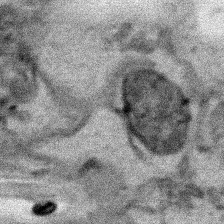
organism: Human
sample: Mitochondria in HCT116 cells